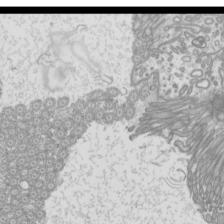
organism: Mouse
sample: Cilia; mouse epididymis